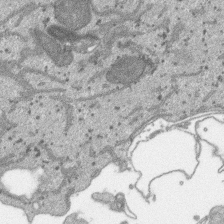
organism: Human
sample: Lung epithelial cells infected with SARS-CoV-2